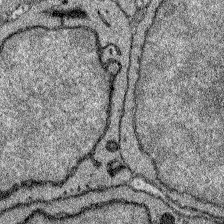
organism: Zebrafish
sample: Larval olfactory bulb